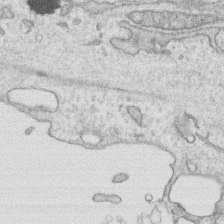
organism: Human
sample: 1205lu cells